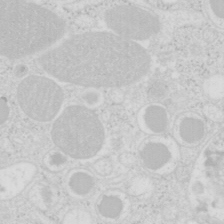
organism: Mouse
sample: Pancreas